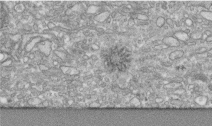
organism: Human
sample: Centriole in RPE cells